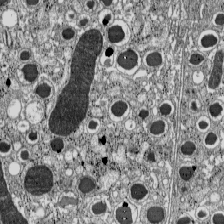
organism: C57BL Mouse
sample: Pancreatic islet